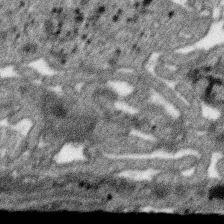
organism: Human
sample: Lung epithelial cells infected with SARS-CoV-2